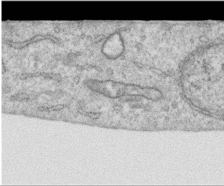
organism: Human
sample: Centriole in RPE cells